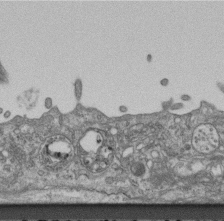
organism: Mouse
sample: Centriole in ependymal cells